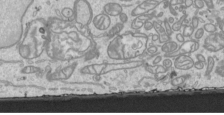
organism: Human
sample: Mitochondria in HCT116 cells